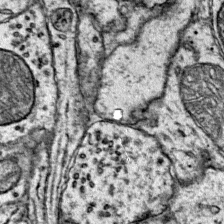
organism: Mouse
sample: Primary visual cortex